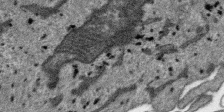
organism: Human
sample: Lung epithelial cells, uninfected (mock) control